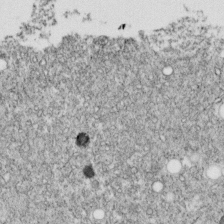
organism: C. elegans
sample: C. elegans embryo early stage